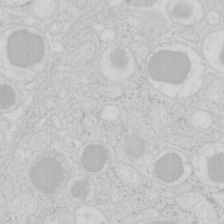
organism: Mouse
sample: Pancreas